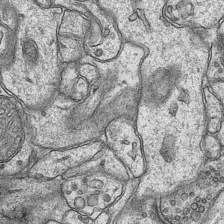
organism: Mouse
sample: CA1 Hippocampus